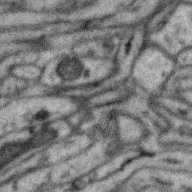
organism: Zebra finch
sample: Brain